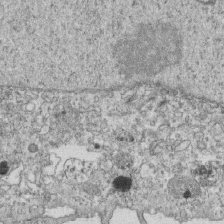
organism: Human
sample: HeLa cell HIV synapse